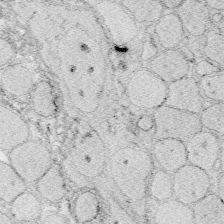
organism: Zebrafish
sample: Whole-Brain